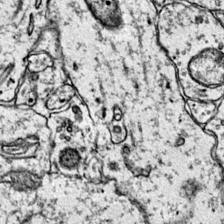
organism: Mouse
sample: Primary visual cortex